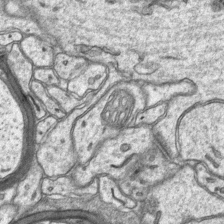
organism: Mouse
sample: CA1 Hippocampus